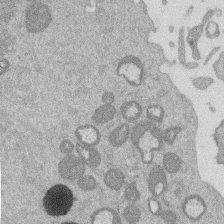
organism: Mouse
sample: Dividing mouse embryo 1 cell stage